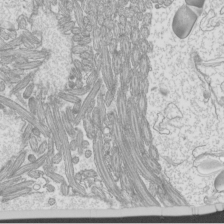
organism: Mouse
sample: Cilia; mouse epididymis